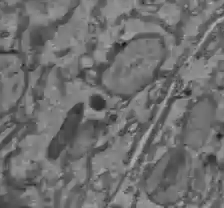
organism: C57BL Mouse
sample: Liver